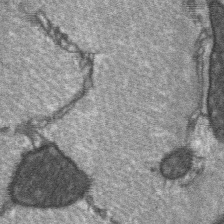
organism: C57BL Mouse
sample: Soleus